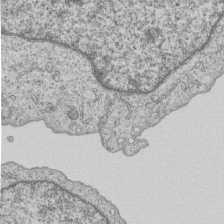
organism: Human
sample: MDA-MB-231 cells